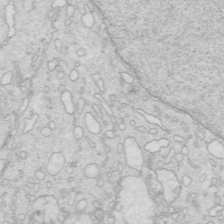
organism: Mouse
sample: Multiciliated cells